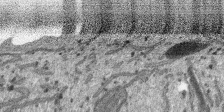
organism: Human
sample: Lung epithelial cells infected with SARS-CoV-2